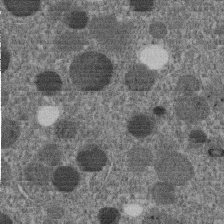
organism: C. elegans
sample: C. elegans embryo early stage